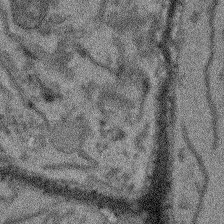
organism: Arabidopsis thaliana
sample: Root tip